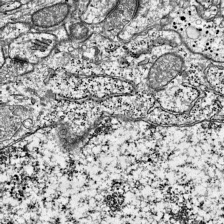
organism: Mouse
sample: Visual Cortex